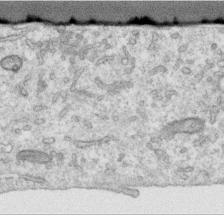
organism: Human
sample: Centriole in RPE cells